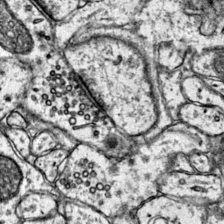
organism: Mouse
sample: Primary visual cortex